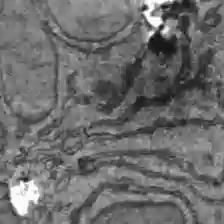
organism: C57BL Mouse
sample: Liver